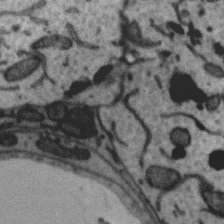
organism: Zebra finch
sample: Brain